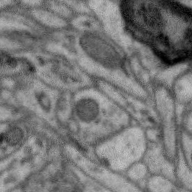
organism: Zebra finch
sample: Brain